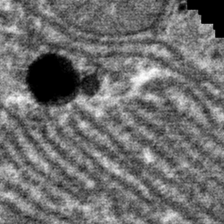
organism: Mouse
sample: Mouse hepatocytes